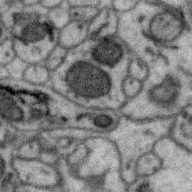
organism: Zebra finch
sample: Brain